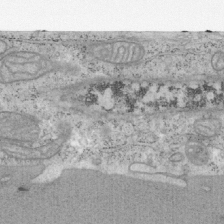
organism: Human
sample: HeLa cells